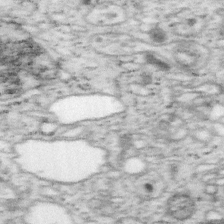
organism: Mouse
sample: OT-I killer T cells with ID8 ovarian cancer cells